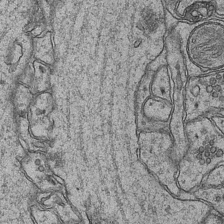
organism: Mouse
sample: CA1 Hippocampus